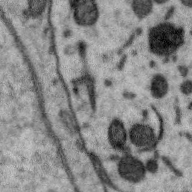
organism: Zebra finch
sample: Brain